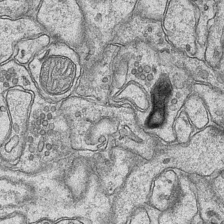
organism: Mouse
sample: CA1 Hippocampus